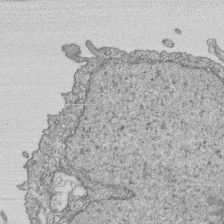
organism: Human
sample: HeLa cell HIV synapse